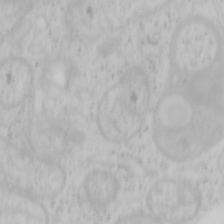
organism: Mouse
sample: OT-I killer T cells with ID8 ovarian cancer cells